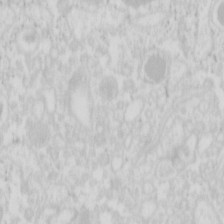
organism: Mouse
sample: Pancreas